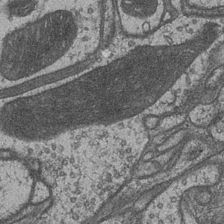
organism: Drosophila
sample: Optic medulla